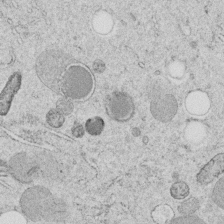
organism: C. elegans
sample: C. elegans embryo early stage